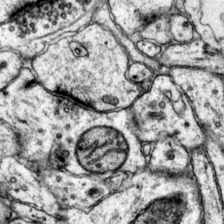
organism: Mouse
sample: Primary visual cortex